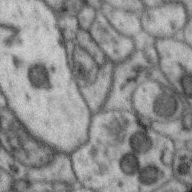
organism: Zebra finch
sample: Brain